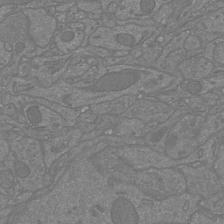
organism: Mouse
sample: Cortical neurons